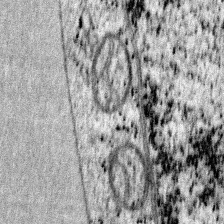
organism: Human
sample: HeLa cells